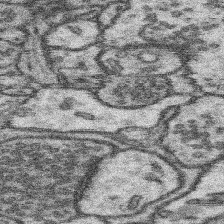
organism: Mouse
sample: Somatosensory cortex neuropil